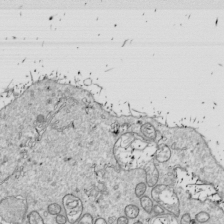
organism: Drosophila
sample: Cell division; meiosis; drosophila spermatocytes